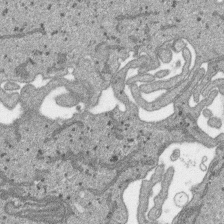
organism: Human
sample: Lung epithelial cells infected with SARS-CoV-2